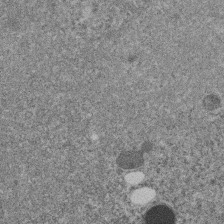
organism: C. elegans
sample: C. elegans embryo early stage